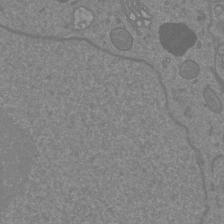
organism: Mouse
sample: Cortical neurons